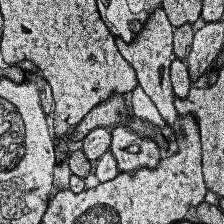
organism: Human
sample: Temporal Lobe